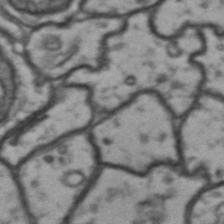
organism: Drosophila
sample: Brain